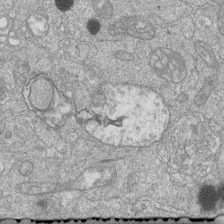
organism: Human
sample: HeLa cell HIV synapse